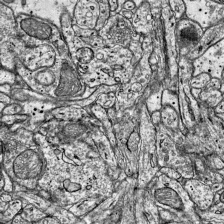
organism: Mouse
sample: Visual Cortex